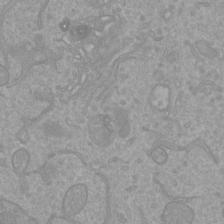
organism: Mouse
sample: Cortical neurons